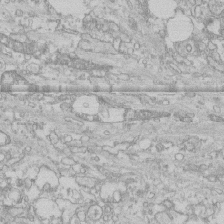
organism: Human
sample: CRL-1474